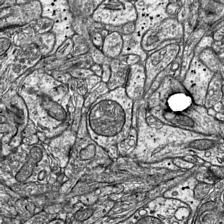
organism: Mouse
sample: Visual Cortex